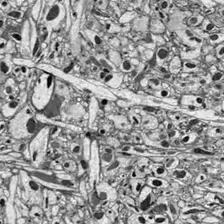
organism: Drosophila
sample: Optic lobe